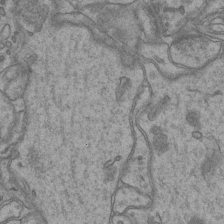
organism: Mouse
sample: CA1 Hippocampus